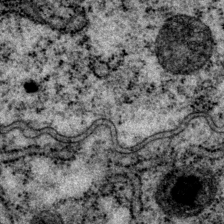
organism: P. pacificus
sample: Pharynx